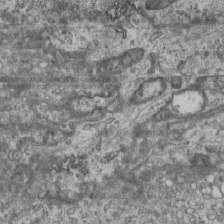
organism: Mouse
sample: Centriole in ependymal cells